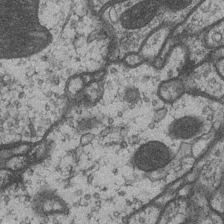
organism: Drosophila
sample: Optic medulla